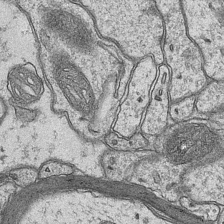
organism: Mouse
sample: CA1 Hippocampus